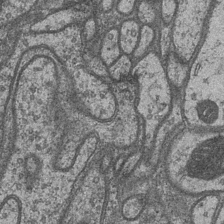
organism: Drosophila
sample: Optic medulla